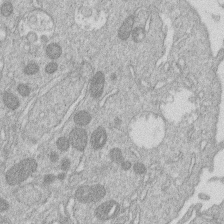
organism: Human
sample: Macrophage cells